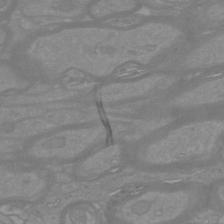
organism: Mouse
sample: Cortical neurons